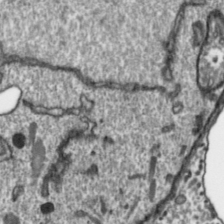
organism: Toxoplasma gondii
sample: Parasites in a vacuole inside a host cell